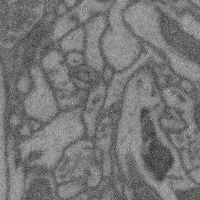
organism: Mouse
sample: Cerebral cortex